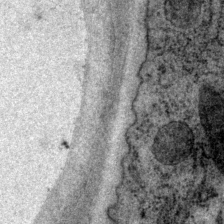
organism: P. pacificus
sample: Pharynx